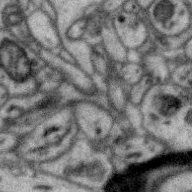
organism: Zebra finch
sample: Brain